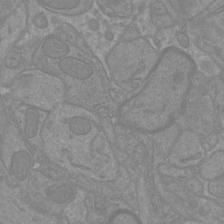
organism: Mouse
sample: Cortical neurons